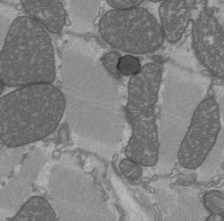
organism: C57BL Mouse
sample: Heart